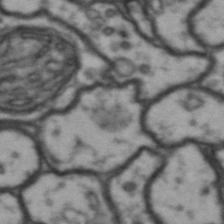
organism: Drosophila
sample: Brain